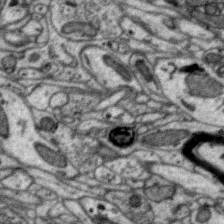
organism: Zebra finch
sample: Brain